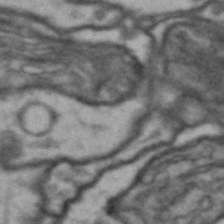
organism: Drosophila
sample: Brain